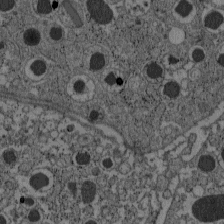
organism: C57BL Mouse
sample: Pancreatic islet